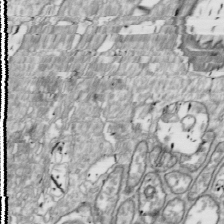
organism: Drosophila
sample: Cell division; meiosis; drosophila spermatocytes